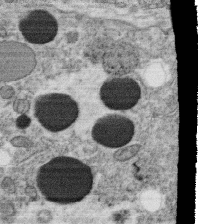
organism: C. elegans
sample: C. elegans oocyte; sperm cells